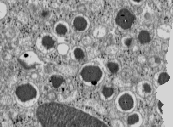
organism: C57BL Mouse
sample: Pancreatic islet